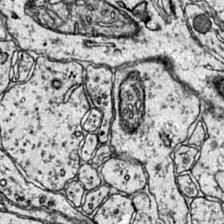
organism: Mouse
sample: Primary visual cortex